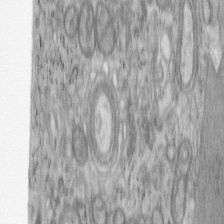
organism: Human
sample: HeLa cells